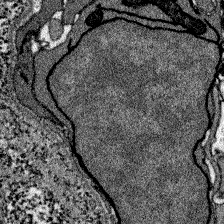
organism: Zebrafish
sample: Larval olfactory bulb